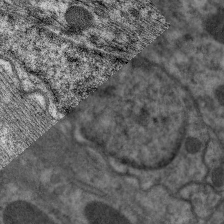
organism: C. elegans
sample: Pharynx